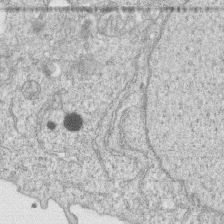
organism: Human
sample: HeLa cell HIV synapse